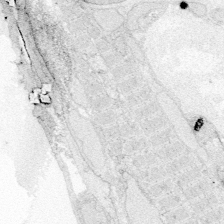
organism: Zebrafish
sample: Whole-Brain